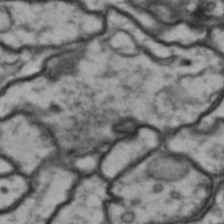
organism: Drosophila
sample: Brain